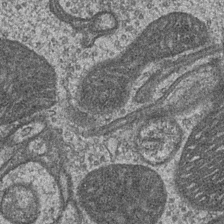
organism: Drosophila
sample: Optic medulla